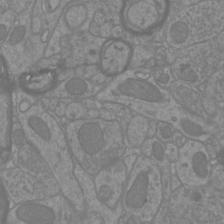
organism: Mouse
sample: Cortical neurons